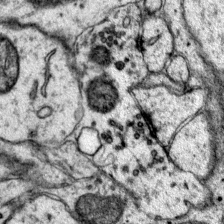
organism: Mouse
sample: Primary visual cortex